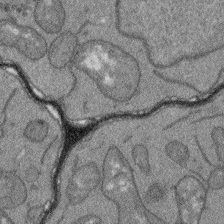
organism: Arabidopsis thaliana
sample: Root tip